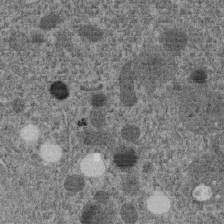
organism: C. elegans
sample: C. elegans embryo early stage